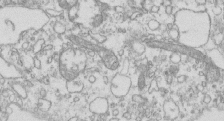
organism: Mouse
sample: Macrophages